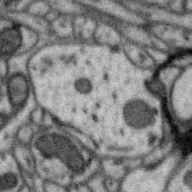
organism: Zebra finch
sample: Brain